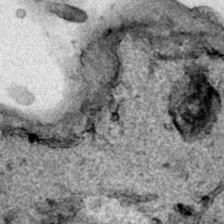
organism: Human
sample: Mitochondria in HCT116 cells